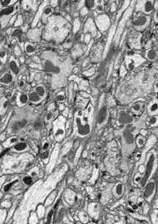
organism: Drosophila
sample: Optic lobe